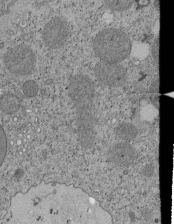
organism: Tetrahymena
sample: Cilia in tetrahymena